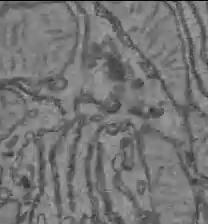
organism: C57BL Mouse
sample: Liver